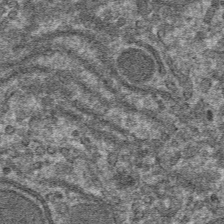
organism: Mouse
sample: Mouse hepatocytes